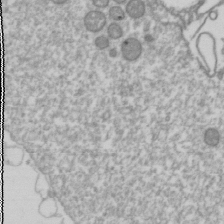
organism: Drosophila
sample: Cell division; meiosis; drosophila spermatocytes